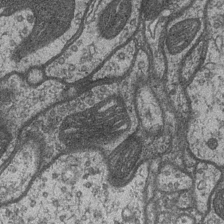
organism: Drosophila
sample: Optic medulla